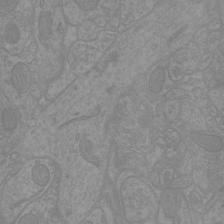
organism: Mouse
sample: Cortical neurons